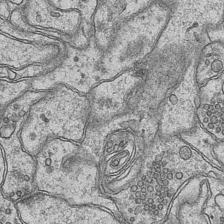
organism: Mouse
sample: CA1 Hippocampus